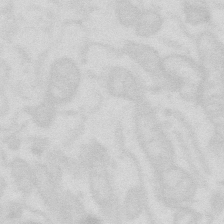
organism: Human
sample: HeLa cells